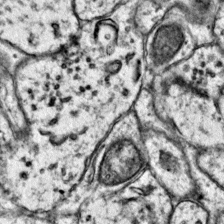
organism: Mouse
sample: Primary visual cortex